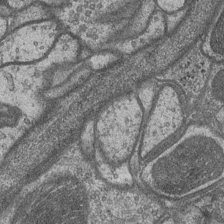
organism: Drosophila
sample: Optic medulla